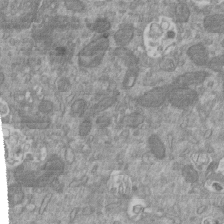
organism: Mouse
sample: ED-1 cell nuclei; centrioles